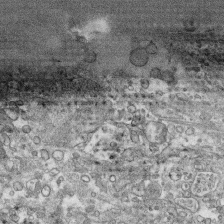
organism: Human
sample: CRL-1474